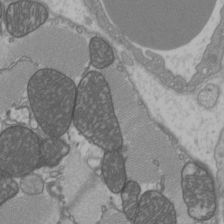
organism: C57BL Mouse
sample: Heart